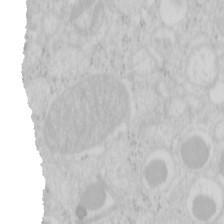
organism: Mouse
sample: Pancreas